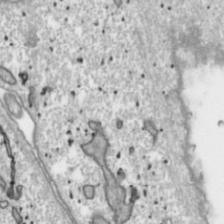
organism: Toxoplasma gondii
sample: Parasites in a vacuole inside a host cell